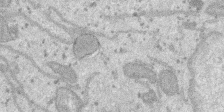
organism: Human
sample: Lung epithelial cells infected with SARS-CoV-2